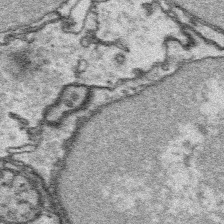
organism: Platynereis dumerilii